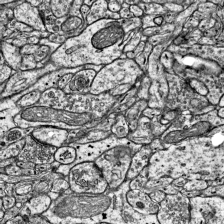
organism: Mouse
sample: Visual Cortex